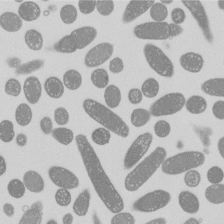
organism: E. coli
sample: Bacterial nucleoid